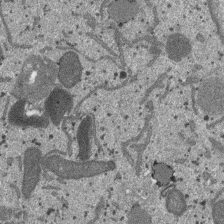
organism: Human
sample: Lung epithelial cells infected with SARS-CoV-2